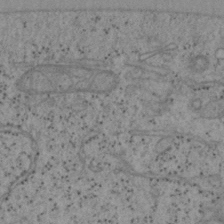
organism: Human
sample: HeLa cells